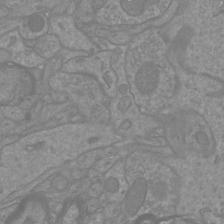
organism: Mouse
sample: Cortical neurons